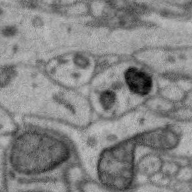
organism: Zebra finch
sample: Brain